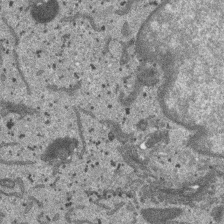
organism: Human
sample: Lung epithelial cells infected with SARS-CoV-2